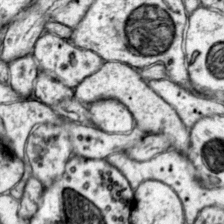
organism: Mouse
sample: Primary visual cortex